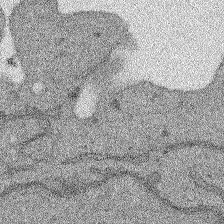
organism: Human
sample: HeLa cells